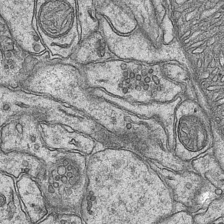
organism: Mouse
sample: CA1 Hippocampus